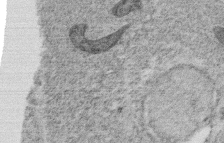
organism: C. elegans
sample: C. elegans oocyte; sperm cells